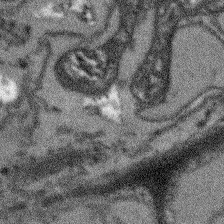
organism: Arabidopsis thaliana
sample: Root tip